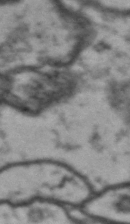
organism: Drosophila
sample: Brain